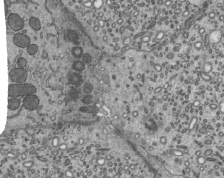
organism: Mouse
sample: Mouse epididymis efferent ductule cilia